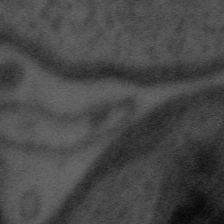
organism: Tuwongella immobilis